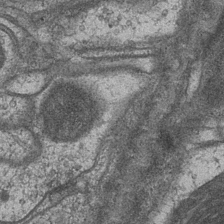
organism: Drosophila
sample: Optic medulla